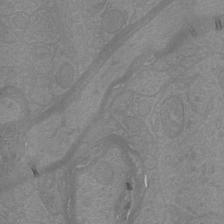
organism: Mouse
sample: Cortical neurons